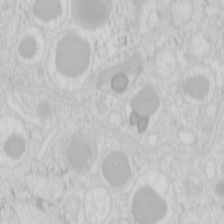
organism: Mouse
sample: Pancreas